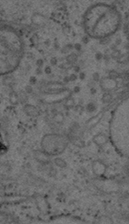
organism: Human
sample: HeLa cells